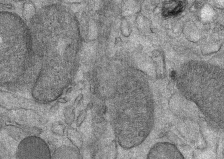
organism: Mouse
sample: Mouse Salivary gland